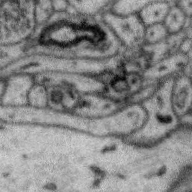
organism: Zebra finch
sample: Brain